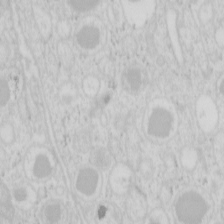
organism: Mouse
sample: Pancreas